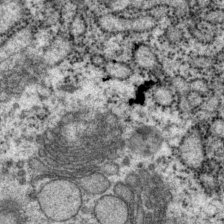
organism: P. pacificus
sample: Pharynx